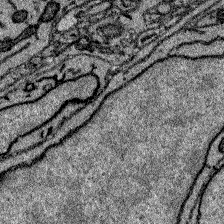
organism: Zebrafish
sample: Larval olfactory bulb